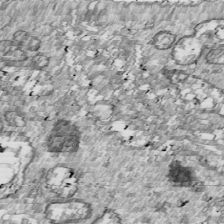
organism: Drosophila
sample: Cell division; meiosis; drosophila spermatocytes